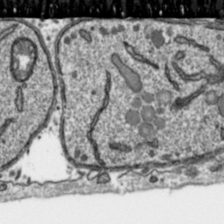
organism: Toxoplasma gondii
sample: Parasites in a vacuole inside a host cell